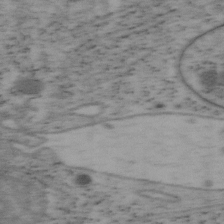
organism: Mouse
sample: OT-I killer T cells with ID8 ovarian cancer cells